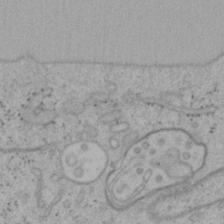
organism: Human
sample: HeLa cells